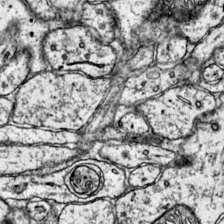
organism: Mouse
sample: Primary visual cortex